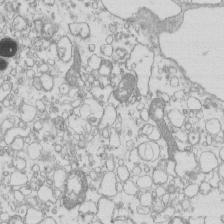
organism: Mouse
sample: Macrophages